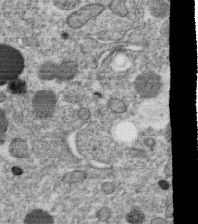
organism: C. elegans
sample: C. elegans oocyte; sperm cells